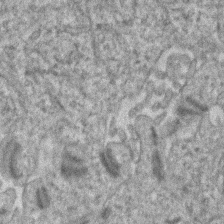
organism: Human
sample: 1205lu cells